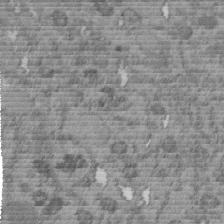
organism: C. elegans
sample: C. elegans embryo early stage